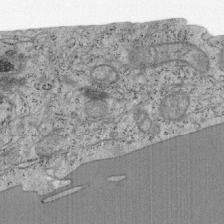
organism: Human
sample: HeLa cells